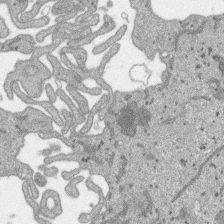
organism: Human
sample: Lung epithelial cells infected with SARS-CoV-2